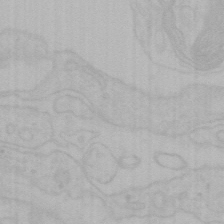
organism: Mouse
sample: Choroid plexus